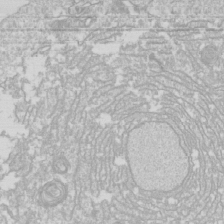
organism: Drosophila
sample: Cell division; meiosis; drosophila spermatocytes